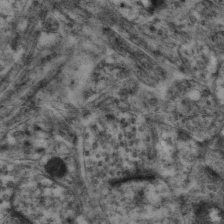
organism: Mouse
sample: Neocortex